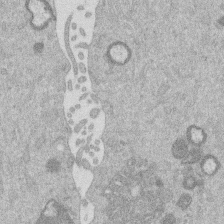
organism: Mouse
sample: Dividing mouse embryo 1 cell stage